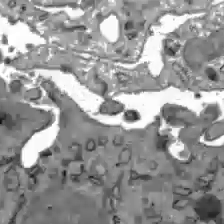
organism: C57BL Mouse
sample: Liver